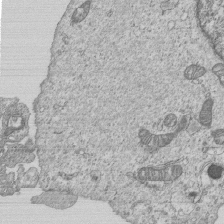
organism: Human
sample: MDA-MB-231 cells